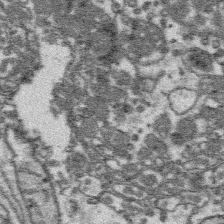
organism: Platynereis dumerilii